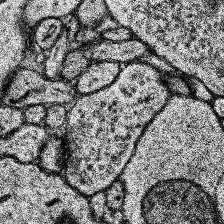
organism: Human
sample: Temporal Lobe